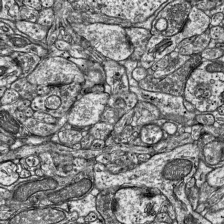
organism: Mouse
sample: Visual Cortex